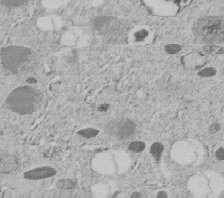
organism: C. elegans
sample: C. elegans embryo early stage